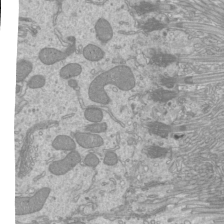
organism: Mouse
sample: Cilia; mouse epididymis